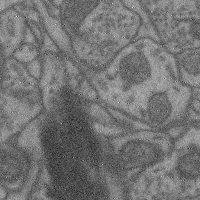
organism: Mouse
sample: Cerebral cortex